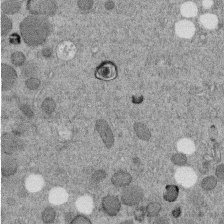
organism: C. elegans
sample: C. elegans embryo early stage